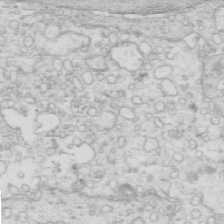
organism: Mouse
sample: Multiciliated cells